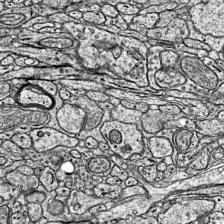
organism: Mouse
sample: Visual Cortex